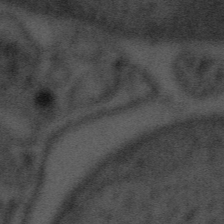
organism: Tuwongella immobilis